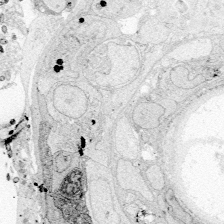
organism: Zebrafish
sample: Whole-Brain